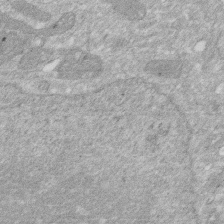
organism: Human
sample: HIV infected U937 cells